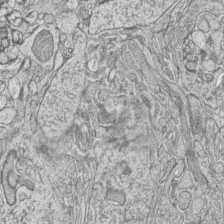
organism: Zebrafish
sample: synaptic ribbons in rod cells and cone cells